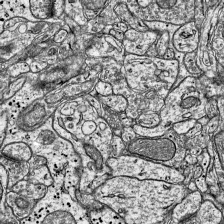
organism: Mouse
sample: Visual Cortex